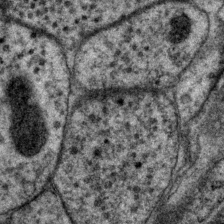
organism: P. pacificus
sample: Pharynx